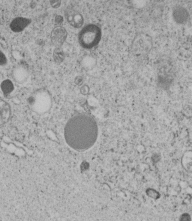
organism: C. elegans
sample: C. elegans embryo early stage